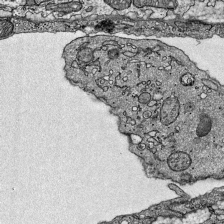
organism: Mouse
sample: Visual Cortex